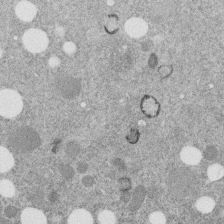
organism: C. elegans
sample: C. elegans embryo early stage